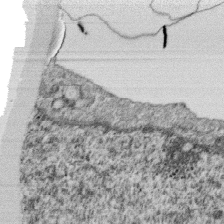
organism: African green monkey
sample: Vero E6 cells infected with SARS-CoV-2